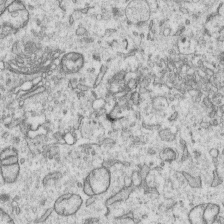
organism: Human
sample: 1205lu cells